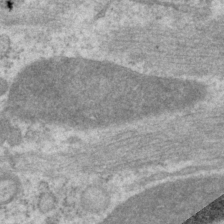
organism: P. pacificus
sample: Pharynx